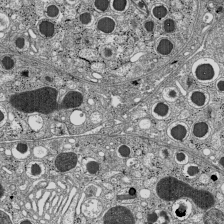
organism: C57BL Mouse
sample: Pancreatic islet